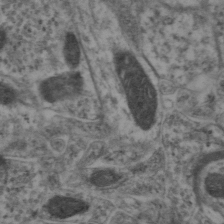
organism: Mouse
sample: Neocortex